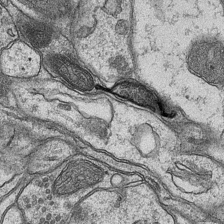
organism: Mouse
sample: CA1 Hippocampus